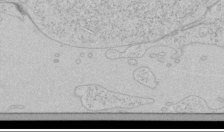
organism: Human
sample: Mitochondria in HCT116 cells